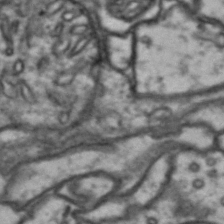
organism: Drosophila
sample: Brain